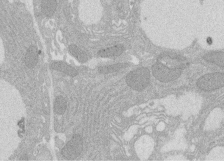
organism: Rat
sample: Salivary granule